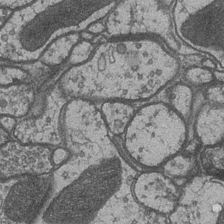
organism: Drosophila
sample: Optic medulla